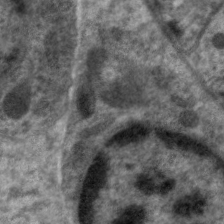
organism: C. elegans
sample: Pharynx